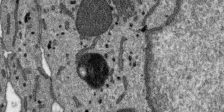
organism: Human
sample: Lung epithelial cells, uninfected (mock) control